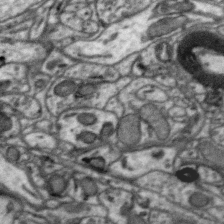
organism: Zebra finch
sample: Brain